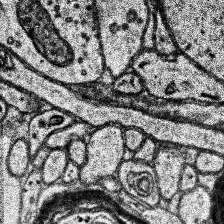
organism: Human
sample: Temporal Lobe